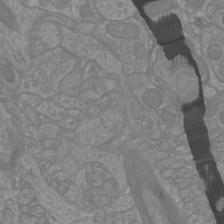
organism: Mouse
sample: Cortical neurons